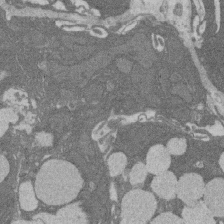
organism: Rat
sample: Salivary granule